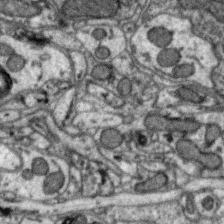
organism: Zebra finch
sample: Brain